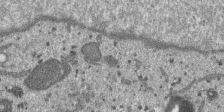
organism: Human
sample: Lung epithelial cells infected with SARS-CoV-2